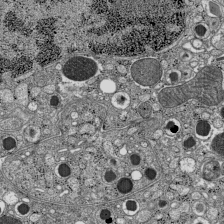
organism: C57BL Mouse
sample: Pancreatic islet